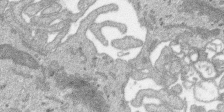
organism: Human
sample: Lung epithelial cells infected with SARS-CoV-2